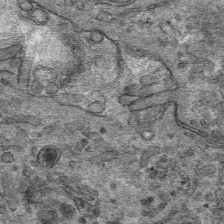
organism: Mouse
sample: Mouse hepatocytes